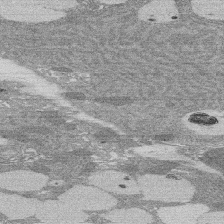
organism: Rat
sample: Salivary granule